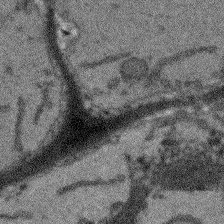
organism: Arabidopsis thaliana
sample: Root tip